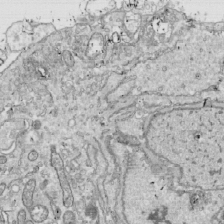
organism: Drosophila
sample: Cell division; meiosis; drosophila spermatocytes